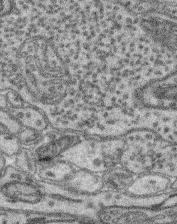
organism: Mouse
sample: Retina